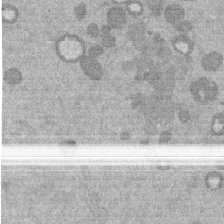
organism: Mouse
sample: Dividing mouse embryo 1 cell stage